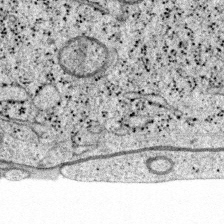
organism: Human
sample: HeLa cells